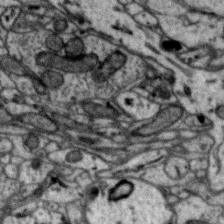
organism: Zebra finch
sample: Brain